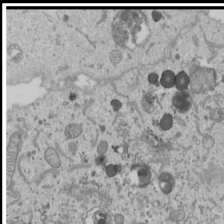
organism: Human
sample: Mitochondria in U2OS cells